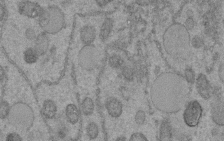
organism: C. elegans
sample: C. elegans embryo early stage